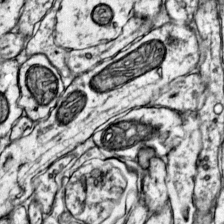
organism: Mouse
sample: Primary visual cortex